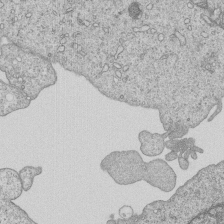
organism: Human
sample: MDA-MB-231 cells